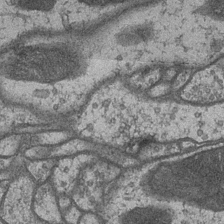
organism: Drosophila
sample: Optic medulla